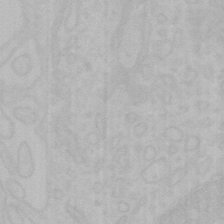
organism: Mouse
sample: Choroid plexus